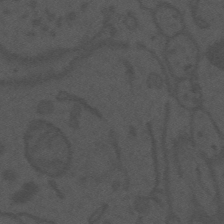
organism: Mouse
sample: Suprachiasmatic nucleus